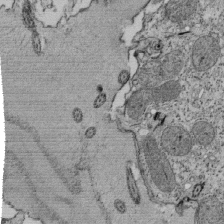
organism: Tetrahymena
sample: Cilia in tetrahymena